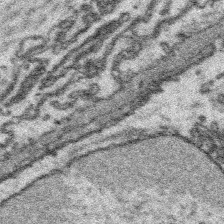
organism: Platynereis dumerilii